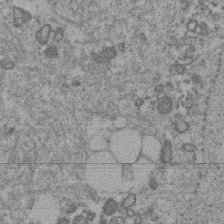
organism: Mouse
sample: Dividing mouse embryo 1 cell stage